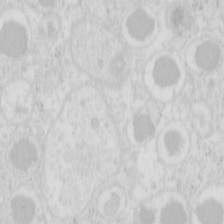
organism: Mouse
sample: Pancreas